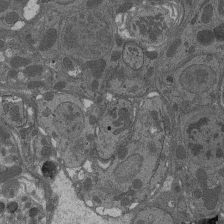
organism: Drosophila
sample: Antenna